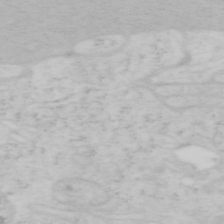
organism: Mouse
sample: OT-I killer T cells with ID8 ovarian cancer cells